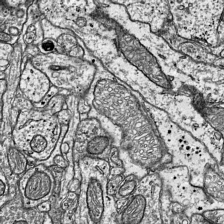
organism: Mouse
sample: Visual Cortex